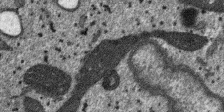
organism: Human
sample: Lung epithelial cells infected with SARS-CoV-2